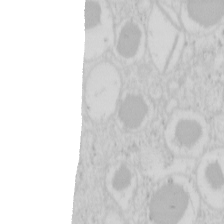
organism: Mouse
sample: Pancreas